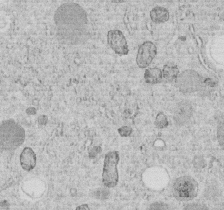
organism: C. elegans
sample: C. elegans embryo early stage